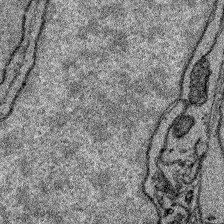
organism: Zebrafish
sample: Larval olfactory bulb